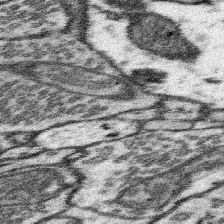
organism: Mouse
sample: Somatosensory cortex neuropil